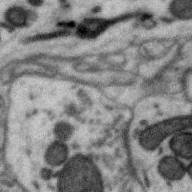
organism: Zebra finch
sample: Brain